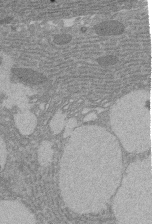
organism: Rat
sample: Salivary granule